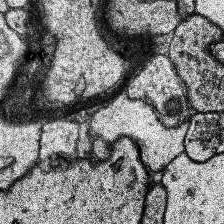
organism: Human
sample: Temporal Lobe